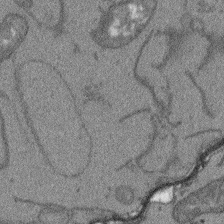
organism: Arabidopsis thaliana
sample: Root tip